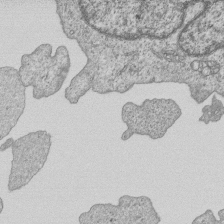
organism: Human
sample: MDA-MB-231 cells